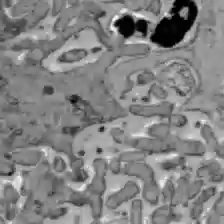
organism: C57BL Mouse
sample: Liver